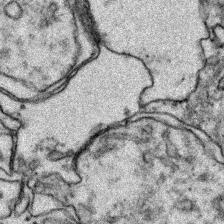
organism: Zebrafish